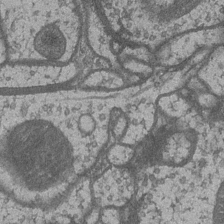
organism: Drosophila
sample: Optic medulla